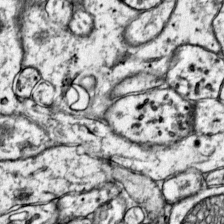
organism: Mouse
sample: Primary visual cortex